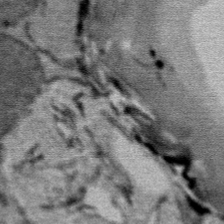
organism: Mouse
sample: Mouse Salivary gland